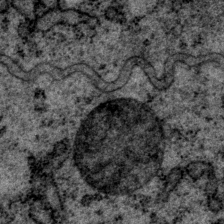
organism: P. pacificus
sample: Pharynx